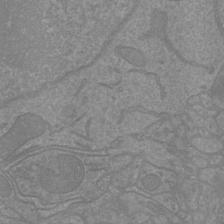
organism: Mouse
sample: Cortical neurons